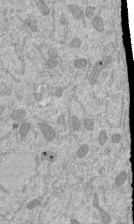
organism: Mouse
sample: ED-1 cell nuclei; centrioles